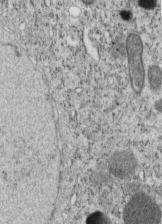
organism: C. elegans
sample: C. elegans embryo early stage